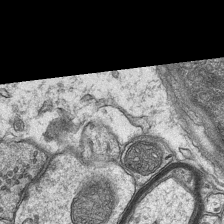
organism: Mouse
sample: CA1 Hippocampus